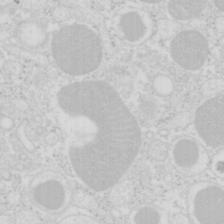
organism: Mouse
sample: Pancreas